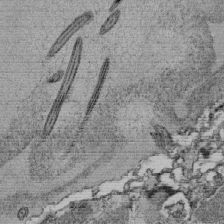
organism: Tetrahymena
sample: Cilia in tetrahymena